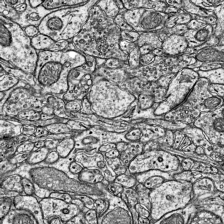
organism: Mouse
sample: Visual Cortex